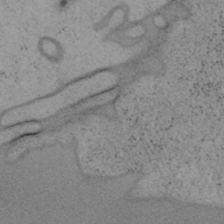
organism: Mouse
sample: OT-I killer T cells with ID8 ovarian cancer cells